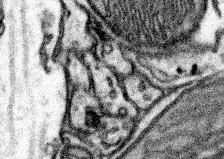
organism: Mouse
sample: Somatosensory cortex neuropil